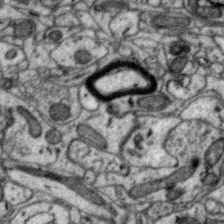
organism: Zebra finch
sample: Brain